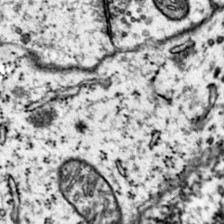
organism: Mouse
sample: Primary visual cortex